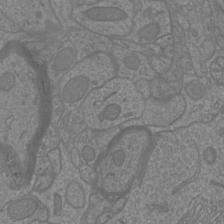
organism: Mouse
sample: Cortical neurons